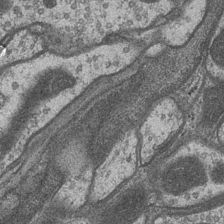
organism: Drosophila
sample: Optic medulla